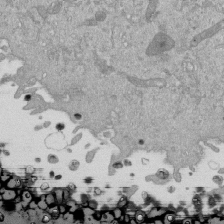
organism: Mouse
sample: ED-1 cell nuclei; centrioles